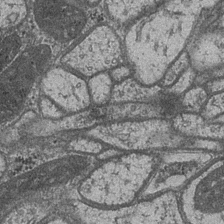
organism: Drosophila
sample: Optic medulla